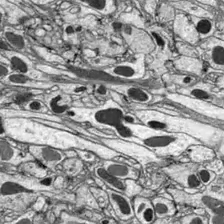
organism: Drosophila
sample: Optic lobe